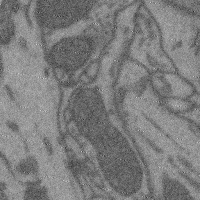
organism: Mouse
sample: Cerebral cortex